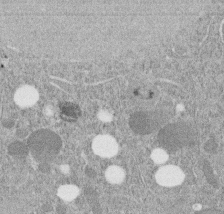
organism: C. elegans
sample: C. elegans embryo early stage